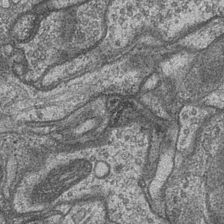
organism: Drosophila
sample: Optic medulla